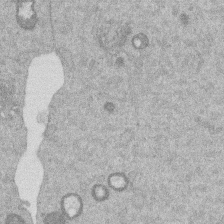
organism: Mouse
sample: Dividing mouse embryo 1 cell stage